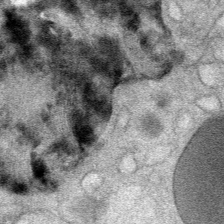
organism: Mouse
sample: Mouse Salivary gland